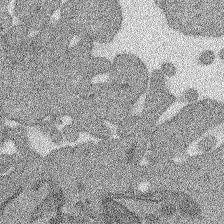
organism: Human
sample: HeLa cells